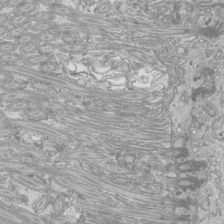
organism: Mouse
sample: Cilia; mouse epididymis